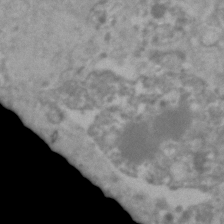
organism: Human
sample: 1205lu cells